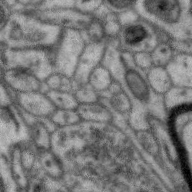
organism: Zebra finch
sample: Brain